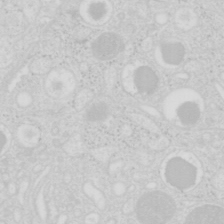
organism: Mouse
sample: Pancreas